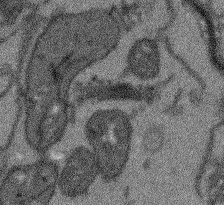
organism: Arabidopsis thaliana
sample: Root tip